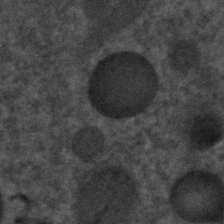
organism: C. elegans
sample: C. elegans embryo